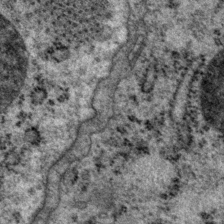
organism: P. pacificus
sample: Pharynx